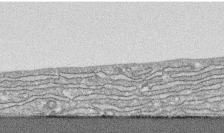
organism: Human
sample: CRL-1474